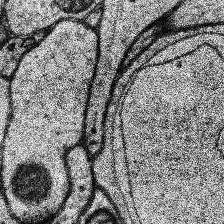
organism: Human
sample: Temporal Lobe